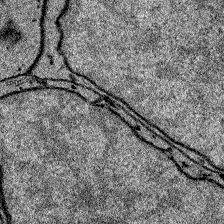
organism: Zebrafish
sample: Larval olfactory bulb